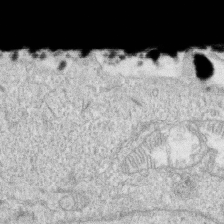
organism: Human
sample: HeLa cell HIV synapse